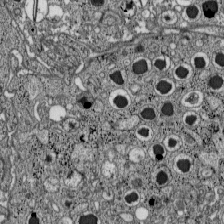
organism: C57BL Mouse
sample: Pancreatic islet